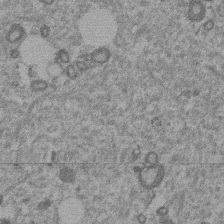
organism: Mouse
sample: Dividing mouse embryo 1 cell stage